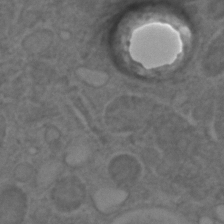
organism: C. elegans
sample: C. elegans embryo